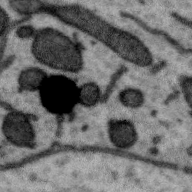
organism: Zebra finch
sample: Brain